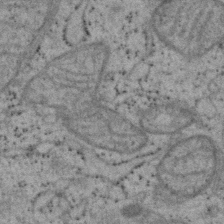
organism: Human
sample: HeLa cells